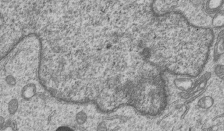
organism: Human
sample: MDA-MB-231 cells